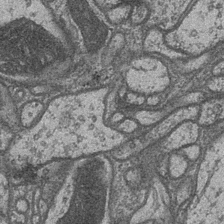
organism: Drosophila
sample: Optic medulla